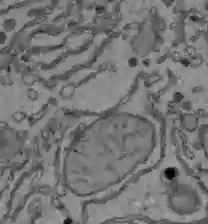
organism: C57BL Mouse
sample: Liver